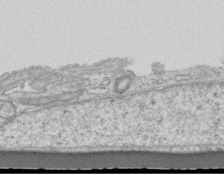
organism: Mouse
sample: Centriole in ependymal cells